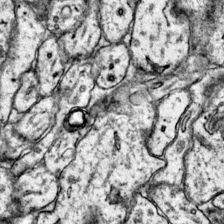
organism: Mouse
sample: Primary visual cortex